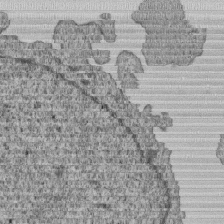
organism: Human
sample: MDA-MB-231 cells